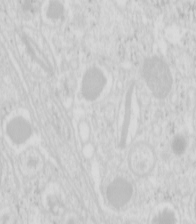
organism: Mouse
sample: Pancreas